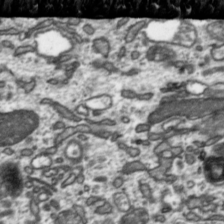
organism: Toxoplasma gondii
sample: Parasites in a vacuole inside a host cell